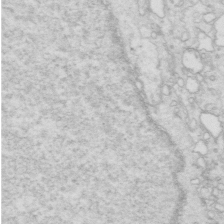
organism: Mouse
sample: Multiciliated cells